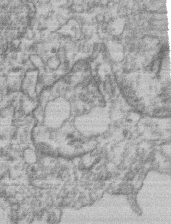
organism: Mouse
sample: T cell stromal cell synapse